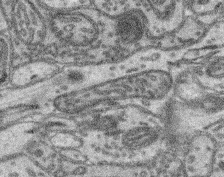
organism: Mouse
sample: Retina